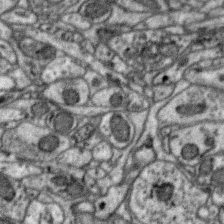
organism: Zebra finch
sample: Brain